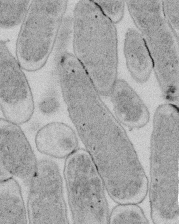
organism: E. coli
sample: Bacterial nucleoid